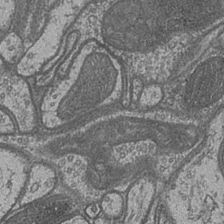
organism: Drosophila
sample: Optic medulla